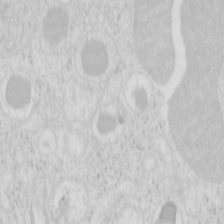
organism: Mouse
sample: Pancreas